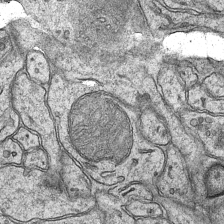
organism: Mouse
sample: CA1 Hippocampus